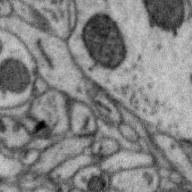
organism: Zebra finch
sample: Brain